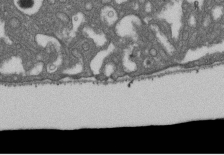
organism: Drosophila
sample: Nephrocyte